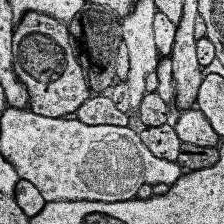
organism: Human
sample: Temporal Lobe